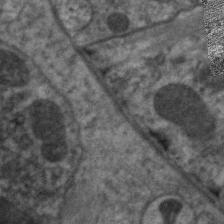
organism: C. elegans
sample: Pharynx